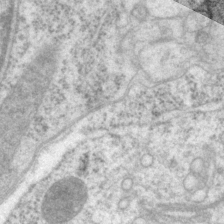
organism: P. pacificus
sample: Pharynx